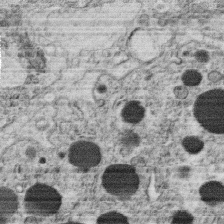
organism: C. elegans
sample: C. elegans oocyte; sperm cells